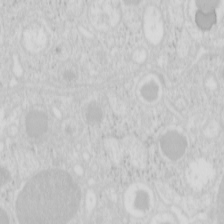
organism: Mouse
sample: Pancreas